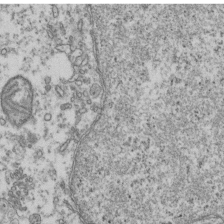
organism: Human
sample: Activated Jurkat CD4+ T cells